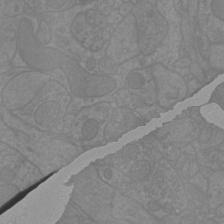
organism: Mouse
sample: Cortical neurons